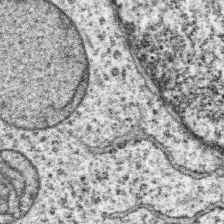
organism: Human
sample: HeLa cells